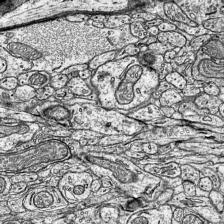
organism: Mouse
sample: Visual Cortex